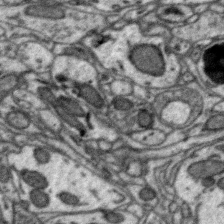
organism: Zebra finch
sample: Brain